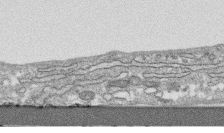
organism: Human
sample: CRL-1474